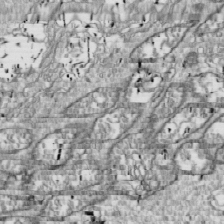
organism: Drosophila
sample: Cell division; meiosis; drosophila spermatocytes